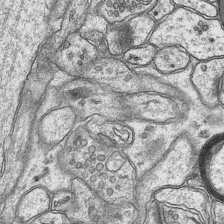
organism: Mouse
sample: CA1 Hippocampus